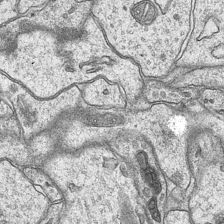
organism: Mouse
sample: CA1 Hippocampus